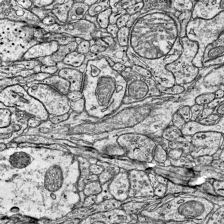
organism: Mouse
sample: Visual Cortex